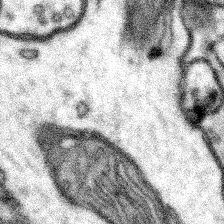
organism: Mouse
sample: Somatosensory cortex neuropil